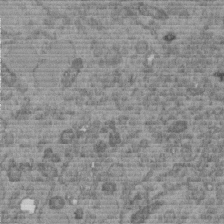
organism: C. elegans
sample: C. elegans embryo early stage